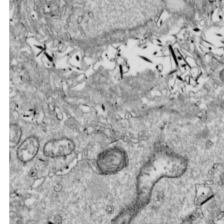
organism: Drosophila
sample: Cell division; meiosis; drosophila spermatocytes